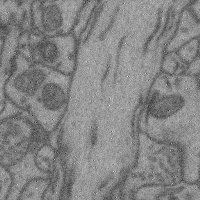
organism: Mouse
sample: Cerebral cortex